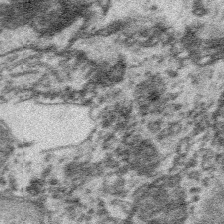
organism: Platynereis dumerilii